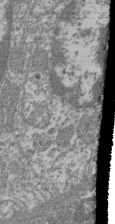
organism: Mouse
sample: Glomerulus